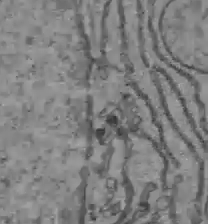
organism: C57BL Mouse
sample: Liver